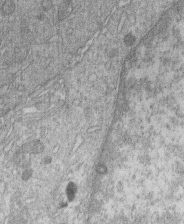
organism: Human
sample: Macrophage cells